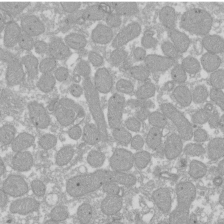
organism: Xenopus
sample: Cilia; centrioles in frog embryo cells